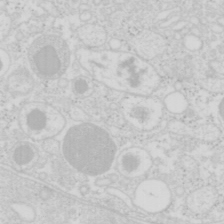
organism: Mouse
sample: Pancreas